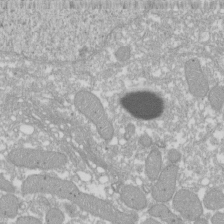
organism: Xenopus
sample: Cilia; centrioles in frog embryo cells